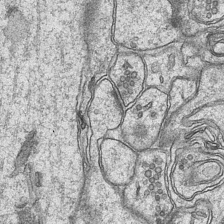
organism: Mouse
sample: CA1 Hippocampus